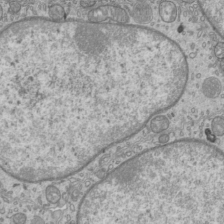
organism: Mouse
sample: Cilia; mouse epididymis